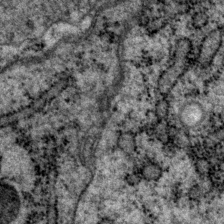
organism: P. pacificus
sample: Pharynx